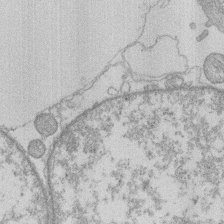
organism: Human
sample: Macrophage cells